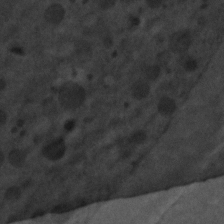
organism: C. elegans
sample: C. elegans embryo